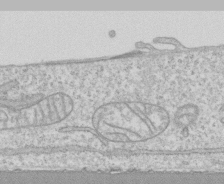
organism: Human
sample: CRL-1474